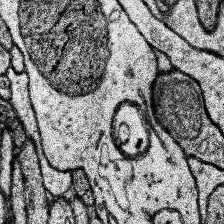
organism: Human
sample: Temporal Lobe